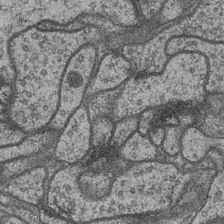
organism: Drosophila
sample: Optic medulla